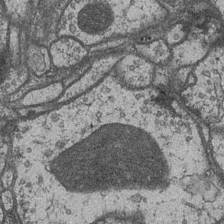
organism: Drosophila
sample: Optic medulla